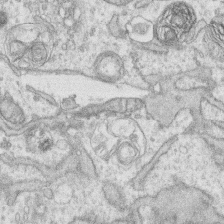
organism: Human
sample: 1205lu cells